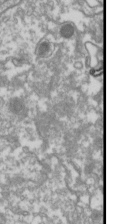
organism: Drosophila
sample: Cell division; meiosis; drosophila spermatocytes